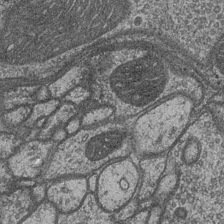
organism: Drosophila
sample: Optic medulla